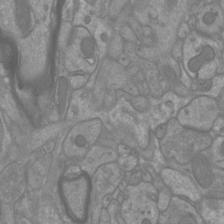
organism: Mouse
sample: Cortical neurons